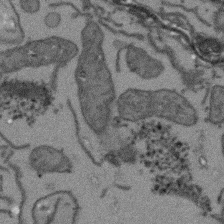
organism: Arabidopsis thaliana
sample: Root tip